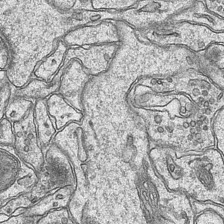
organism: Mouse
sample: CA1 Hippocampus